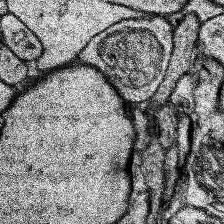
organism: Human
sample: Temporal Lobe